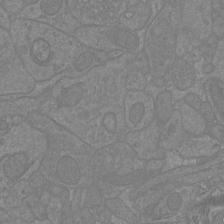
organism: Mouse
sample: Cortical neurons